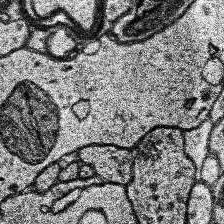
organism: Human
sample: Temporal Lobe